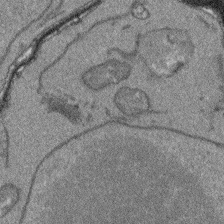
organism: Arabidopsis thaliana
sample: Root tip